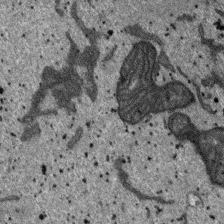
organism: Human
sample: Lung epithelial cells, uninfected (mock) control